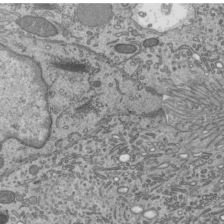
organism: Mouse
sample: Mouse epididymis efferent ductule cilia